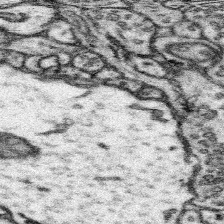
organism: Mouse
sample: Somatosensory cortex neuropil